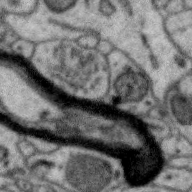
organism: Zebra finch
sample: Brain